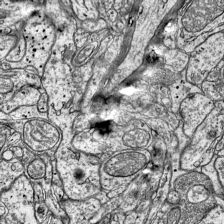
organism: Mouse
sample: Visual Cortex